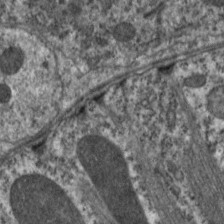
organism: C. elegans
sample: Pharynx